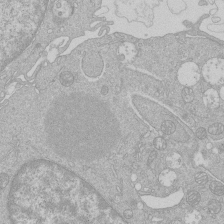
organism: Human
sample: Macrophage cells